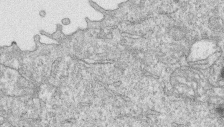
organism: Human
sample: HeLa cell HIV synapse